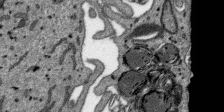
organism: Human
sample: Lung epithelial cells, uninfected (mock) control